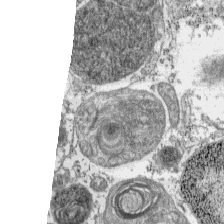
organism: C57BL Mouse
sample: Pancreatic islet